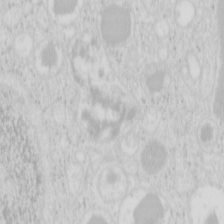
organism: Mouse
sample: Pancreas